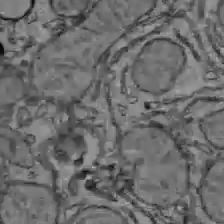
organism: C57BL Mouse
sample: Liver